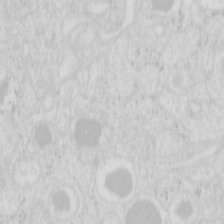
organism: Mouse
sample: Pancreas